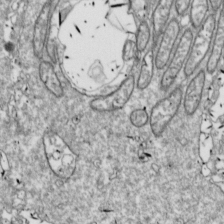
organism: Drosophila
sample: Cell division; meiosis; drosophila spermatocytes